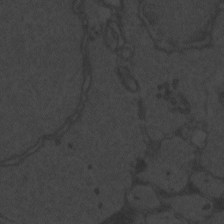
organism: Zebrafish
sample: Macrophage infected with Toxoplasma gondii